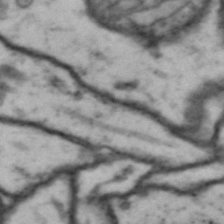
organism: Drosophila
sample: Brain